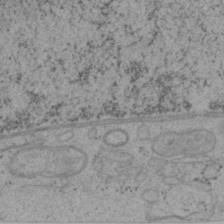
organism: Human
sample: HeLa cells